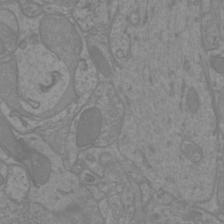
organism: Mouse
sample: Cortical neurons